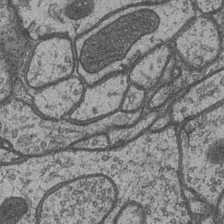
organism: Drosophila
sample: Optic medulla